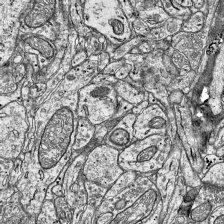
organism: Mouse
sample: Visual Cortex